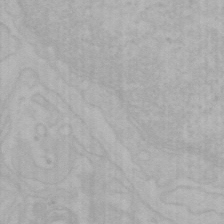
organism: Mouse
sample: Choroid plexus